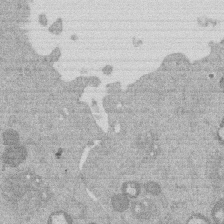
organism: Mouse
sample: Dividing mouse embryo 1 cell stage